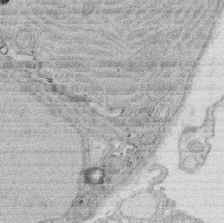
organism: Rat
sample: Salivary granule